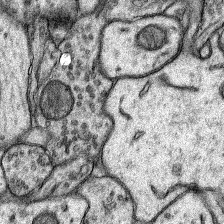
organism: Rat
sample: Hippocampus